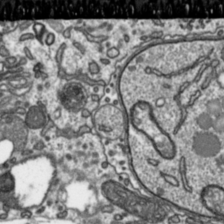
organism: Toxoplasma gondii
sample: Parasites in a vacuole inside a host cell